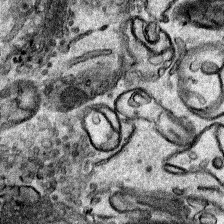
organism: Human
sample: Mitochondria in HCT116 cells